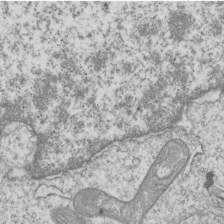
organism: Human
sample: MDA-MB-231 cells